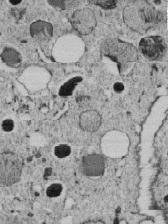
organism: C. elegans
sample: C. elegans embryo early stage